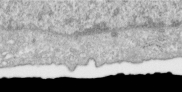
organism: Human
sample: Centriole in RPE cells